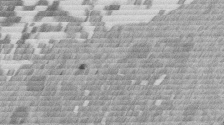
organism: Mouse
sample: Dividing mouse embryo 1 cell stage